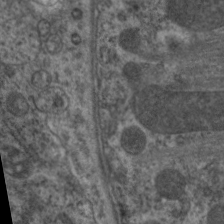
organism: C. elegans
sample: Pharynx